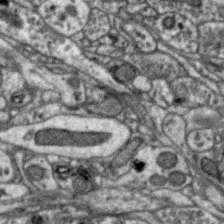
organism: Zebra finch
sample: Brain